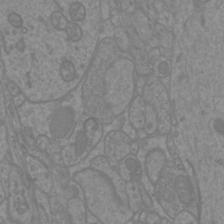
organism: Mouse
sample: Cortical neurons